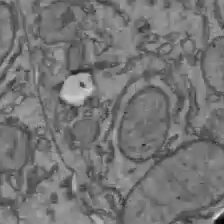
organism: C57BL Mouse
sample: Liver